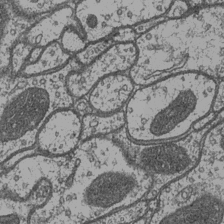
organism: Drosophila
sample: Optic medulla